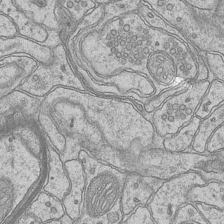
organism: Mouse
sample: CA1 Hippocampus